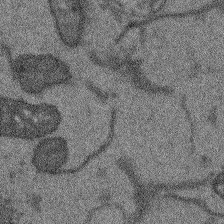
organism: Arabidopsis thaliana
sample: Root tip